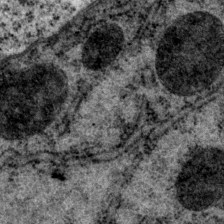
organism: P. pacificus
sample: Pharynx